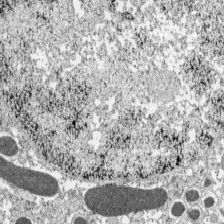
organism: C57BL Mouse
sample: Pancreatic islet